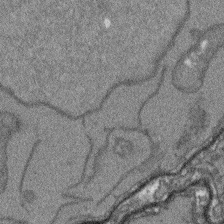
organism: Arabidopsis thaliana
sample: Root tip